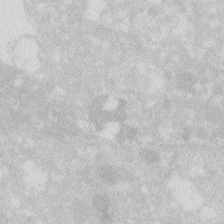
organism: Zebrafish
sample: Macrophage